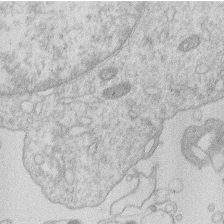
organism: Human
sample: Macrophage cells